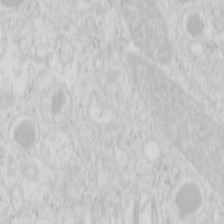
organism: Mouse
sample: Pancreas